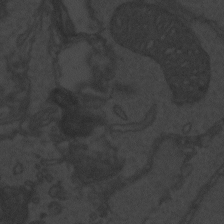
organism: Zebrafish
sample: Macrophage infected with Toxoplasma gondii